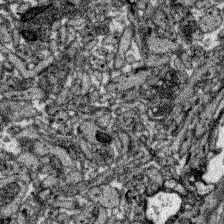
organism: Zebrafish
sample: Larval olfactory bulb